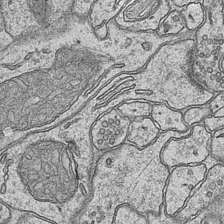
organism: Mouse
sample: CA1 Hippocampus